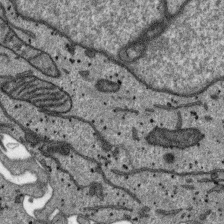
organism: Human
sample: Lung epithelial cells, uninfected (mock) control